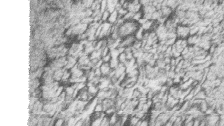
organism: Zebrafish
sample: synaptic ribbons in rod cells and cone cells